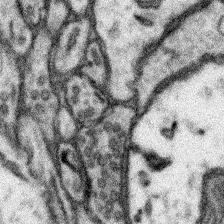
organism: Mouse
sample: Somatosensory cortex neuropil